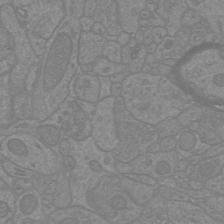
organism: Mouse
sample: Cortical neurons